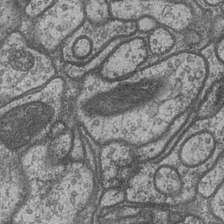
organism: Drosophila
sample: Optic medulla